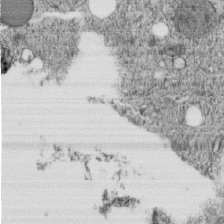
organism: C. elegans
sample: C. elegans embryo early stage